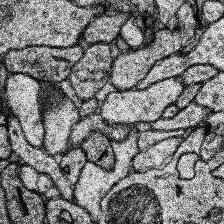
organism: Human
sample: Temporal Lobe